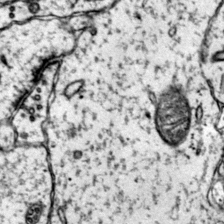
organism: Mouse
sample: Primary visual cortex